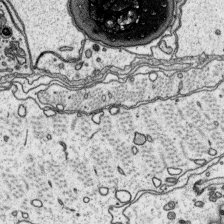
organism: Platynereis dumerilii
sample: Parapodia